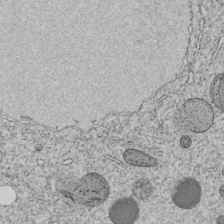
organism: C. elegans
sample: C. elegans embryo early stage